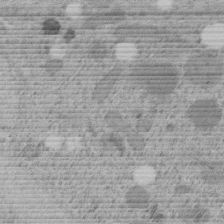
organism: C. elegans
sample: C. elegans embryo early stage